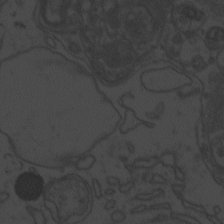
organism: Zebrafish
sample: Macrophage infected with Toxoplasma gondii